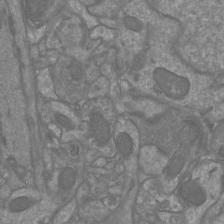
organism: Mouse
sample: Cortical neurons